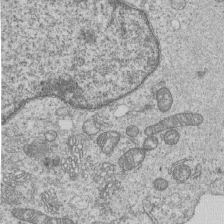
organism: Human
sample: MDA-MB-231 cells